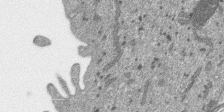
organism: Human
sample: Lung epithelial cells infected with SARS-CoV-2